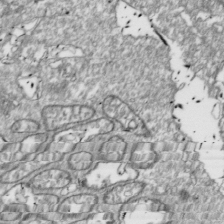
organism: Drosophila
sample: Cell division; meiosis; drosophila spermatocytes